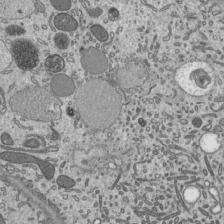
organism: Mouse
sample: Mouse epididymis efferent ductule cilia